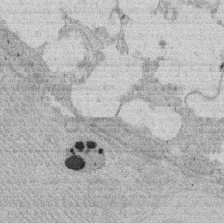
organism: Rat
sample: Salivary granule